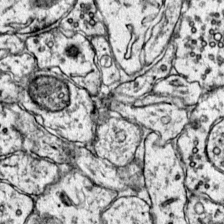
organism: Mouse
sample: Primary visual cortex